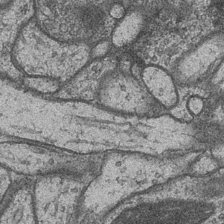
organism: Drosophila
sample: Optic medulla